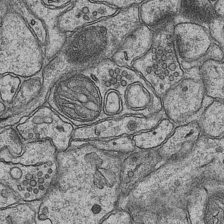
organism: Mouse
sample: CA1 Hippocampus